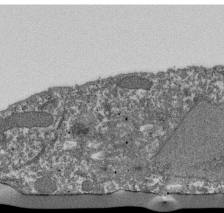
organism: Dictyostelium discoideum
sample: Dictyostelium multivesicular bodies